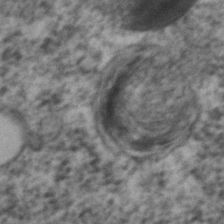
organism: C. elegans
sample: C. elegans embryo